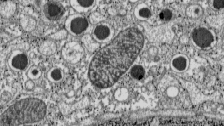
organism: C57BL Mouse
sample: Pancreatic islet